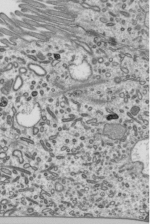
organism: Mouse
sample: Mouse epididymis efferent ductule cilia